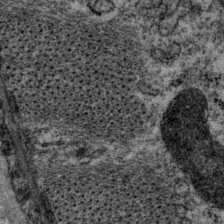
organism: P. pacificus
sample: Pharynx